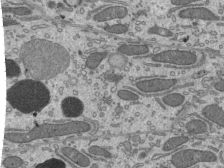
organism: Mouse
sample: Mouse epididymis efferent ductule cilia